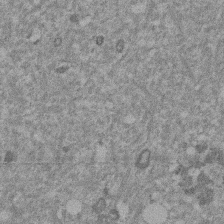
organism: Mouse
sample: Dividing mouse embryo 1 cell stage